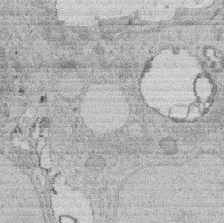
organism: Rat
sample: Salivary granule